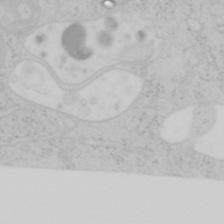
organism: Mouse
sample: OT-I killer T cells with ID8 ovarian cancer cells